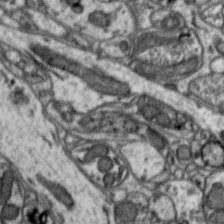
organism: Zebra finch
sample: Brain